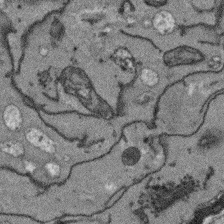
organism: Arabidopsis thaliana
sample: Root tip